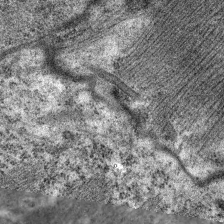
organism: C. elegans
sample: Pharynx